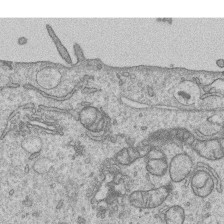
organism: Human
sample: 1205lu cells